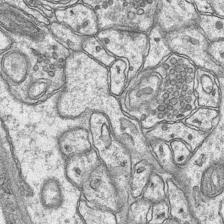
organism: Mouse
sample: CA1 Hippocampus